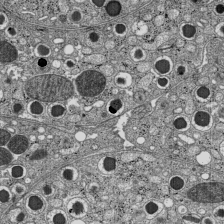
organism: C57BL Mouse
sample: Pancreatic islet